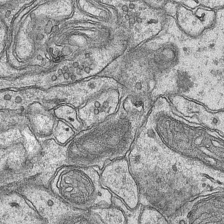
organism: Mouse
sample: CA1 Hippocampus